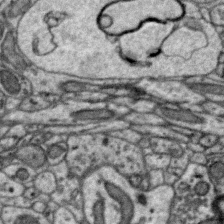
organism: Zebra finch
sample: Brain